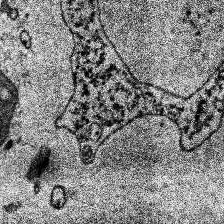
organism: Human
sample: Temporal Lobe